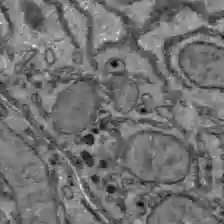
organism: C57BL Mouse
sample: Liver